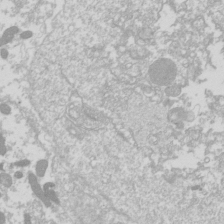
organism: Drosophila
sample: Cell division; meiosis; drosophila spermatocytes